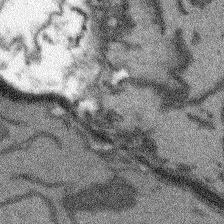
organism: Arabidopsis thaliana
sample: Root tip